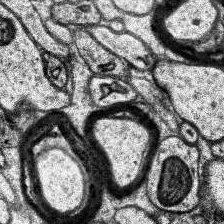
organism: Human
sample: Temporal Lobe